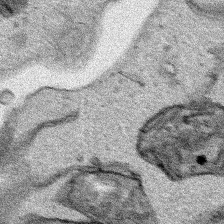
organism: Human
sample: Mitochondria in HCT116 cells